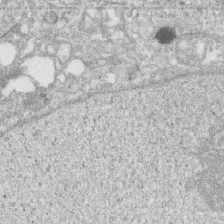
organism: Human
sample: HeLa cell HIV synapse